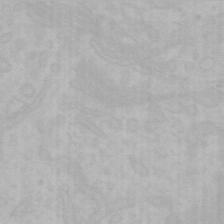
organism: Mouse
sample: Choroid plexus